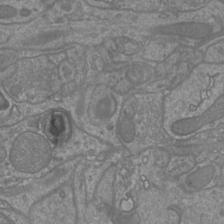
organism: Mouse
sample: Cortical neurons